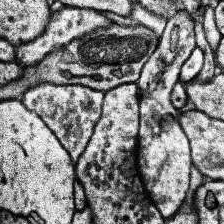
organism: Human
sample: Temporal Lobe